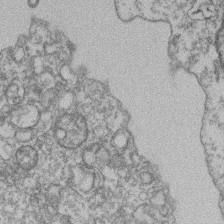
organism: Mouse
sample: T cell stromal cell synapse